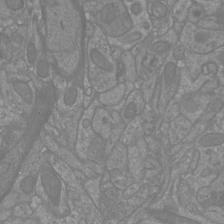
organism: Mouse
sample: Cortical neurons